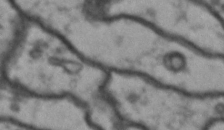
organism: Drosophila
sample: Brain